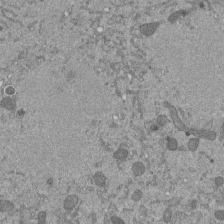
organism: Mouse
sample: ED-1 cell nuclei; centrioles